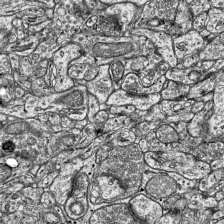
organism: Mouse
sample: Visual Cortex